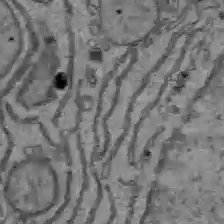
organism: C57BL Mouse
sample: Liver